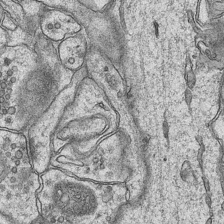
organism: Mouse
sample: CA1 Hippocampus